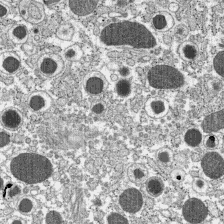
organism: C57BL Mouse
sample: Pancreatic islet